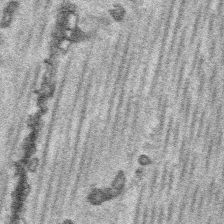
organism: Platynereis dumerilii